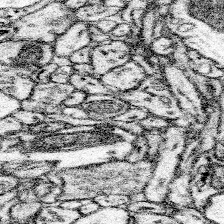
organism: Mouse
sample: Somatosensory cortex neuropil